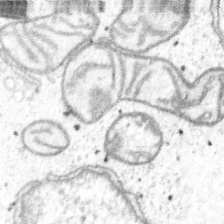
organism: Human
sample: HeLa cells